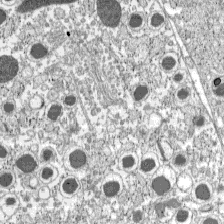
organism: C57BL Mouse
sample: Pancreatic islet